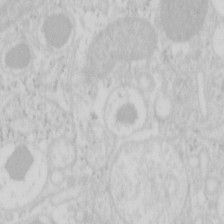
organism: Mouse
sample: Pancreas